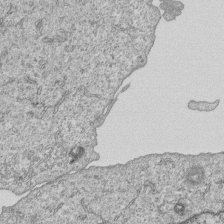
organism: Human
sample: MDA-MB-231 cells